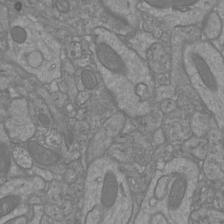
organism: Mouse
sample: Cortical neurons